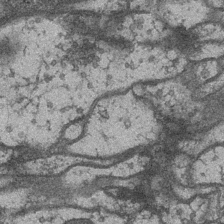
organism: Drosophila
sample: Optic medulla